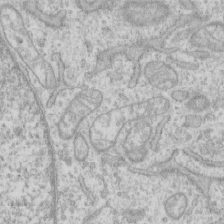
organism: Human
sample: CRL-1474